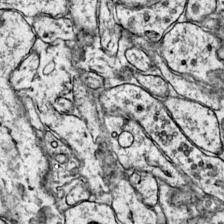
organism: Mouse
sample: Primary visual cortex